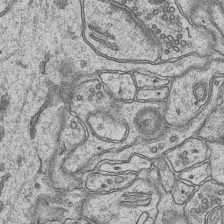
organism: Mouse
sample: CA1 Hippocampus